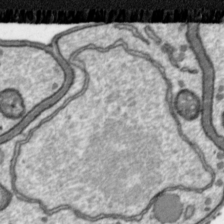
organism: Toxoplasma gondii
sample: Parasites in a vacuole inside a host cell